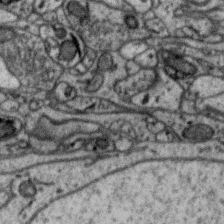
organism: Zebra finch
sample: Brain